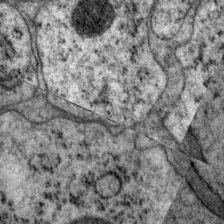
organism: P. pacificus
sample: Pharynx